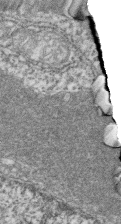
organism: Zebrafish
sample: Cilia; retinal pigment epithelium